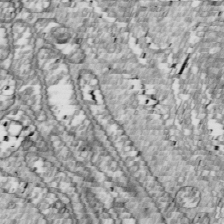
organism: Drosophila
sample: Cell division; meiosis; drosophila spermatocytes